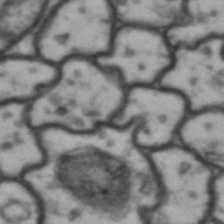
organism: Drosophila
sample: Brain